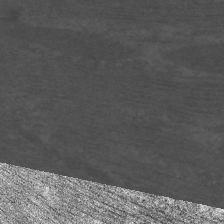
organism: C. elegans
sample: Pharynx